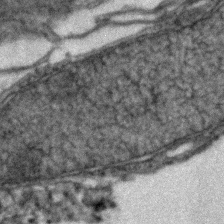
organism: Zebrafish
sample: Zebrafish embryo